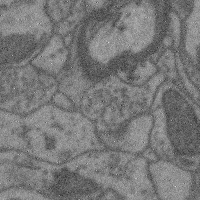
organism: Mouse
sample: Cerebral cortex